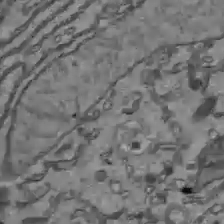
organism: C57BL Mouse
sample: Liver